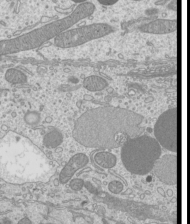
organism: Mouse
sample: Cilia; mouse epididymis